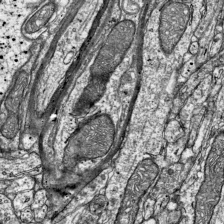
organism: Mouse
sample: Visual Cortex